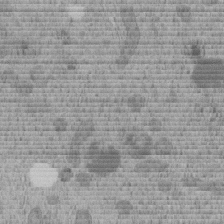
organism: C. elegans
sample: C. elegans embryo early stage